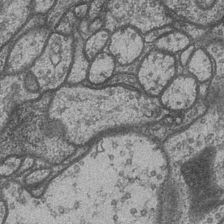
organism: Drosophila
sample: Optic medulla